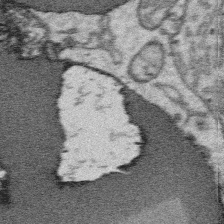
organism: Platynereis dumerilii